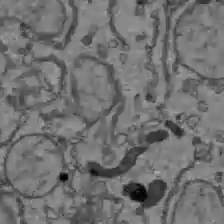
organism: C57BL Mouse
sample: Liver